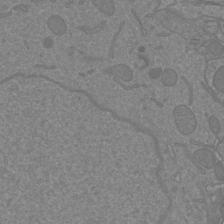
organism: Mouse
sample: Cortical neurons